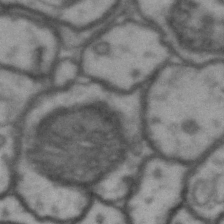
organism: Drosophila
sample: Brain